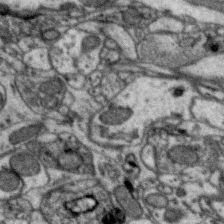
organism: Zebra finch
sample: Brain